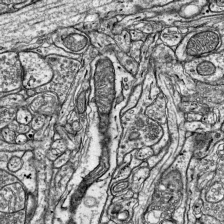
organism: Mouse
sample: Visual Cortex